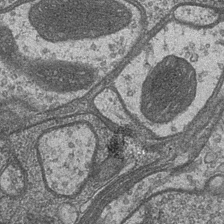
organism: Drosophila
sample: Optic medulla